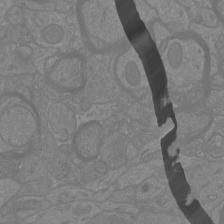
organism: Mouse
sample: Cortical neurons